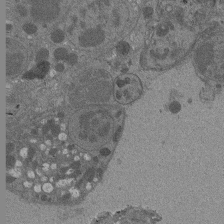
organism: Drosophila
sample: Antenna